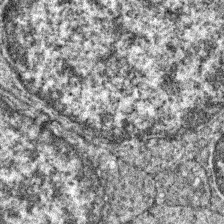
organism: Zebrafish